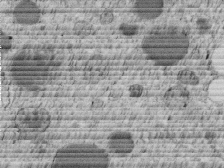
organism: C. elegans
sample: C. elegans embryo early stage